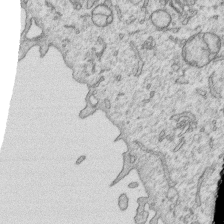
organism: Human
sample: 1205lu cells